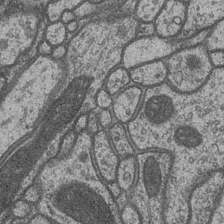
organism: Drosophila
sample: Optic medulla